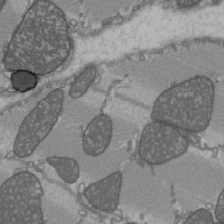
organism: C57BL Mouse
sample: Heart